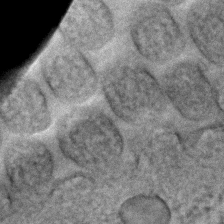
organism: C. elegans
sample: C. elegans embryo